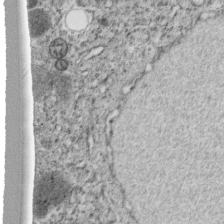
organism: C. elegans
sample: C. elegans embryo early stage